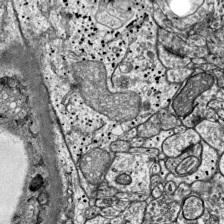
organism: Mouse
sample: Visual Cortex